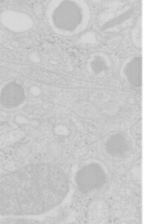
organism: Mouse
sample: Pancreas